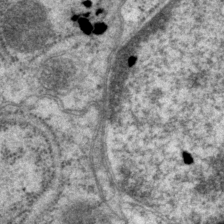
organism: P. pacificus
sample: Pharynx